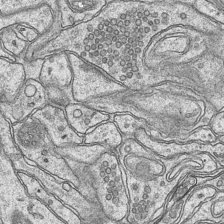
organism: Mouse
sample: CA1 Hippocampus